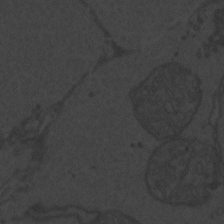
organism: Zebrafish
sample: Macrophage infected with Toxoplasma gondii